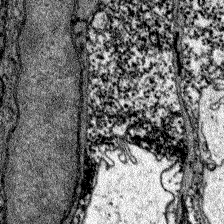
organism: Zebrafish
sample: Larval olfactory bulb